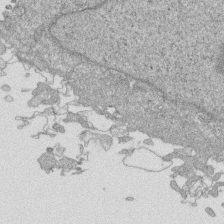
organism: Human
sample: HeLa cell HIV synapse